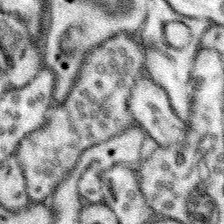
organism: Mouse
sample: Somatosensory cortex neuropil